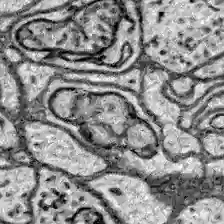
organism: Zebrafish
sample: Brain